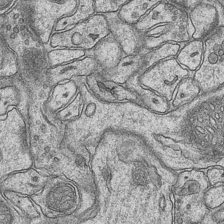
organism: Mouse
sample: CA1 Hippocampus